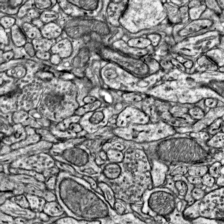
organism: Mouse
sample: Visual Cortex